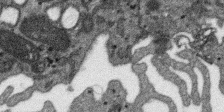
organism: Human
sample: Lung epithelial cells infected with SARS-CoV-2